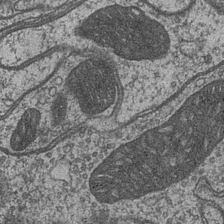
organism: Drosophila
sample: Optic medulla